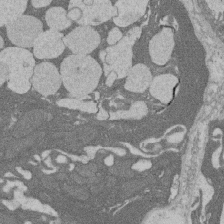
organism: Rat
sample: Salivary granule